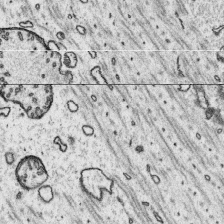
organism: Platynereis dumerilii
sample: Parapodia